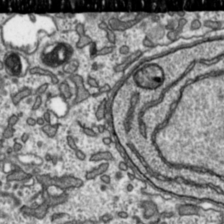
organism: Toxoplasma gondii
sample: Parasites in a vacuole inside a host cell